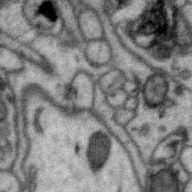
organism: Zebra finch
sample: Brain